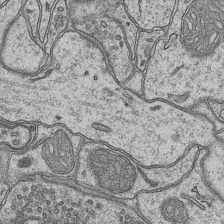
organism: Mouse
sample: CA1 Hippocampus